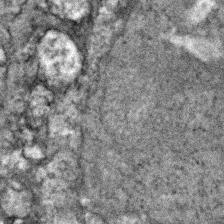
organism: Zebrafish